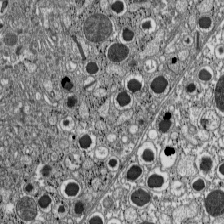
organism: C57BL Mouse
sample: Pancreatic islet